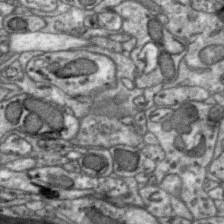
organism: Zebra finch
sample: Brain